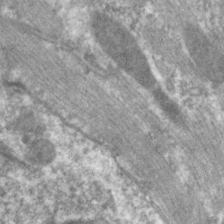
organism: C. elegans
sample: Pharynx